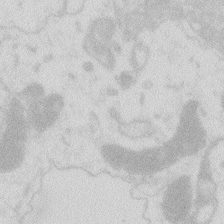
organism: Zebrafish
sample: Macrophage